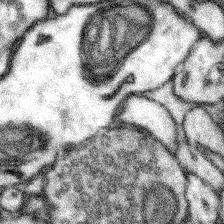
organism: Mouse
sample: Somatosensory cortex neuropil